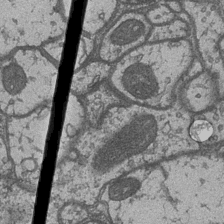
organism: Drosophila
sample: Optic medulla